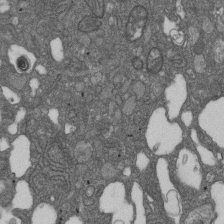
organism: Drosophila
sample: Nephrocyte